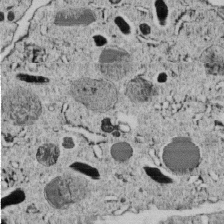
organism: C. elegans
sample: C. elegans embryo early stage